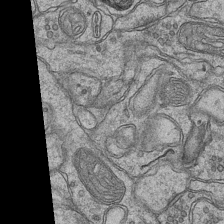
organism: Mouse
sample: CA1 Hippocampus